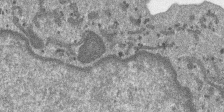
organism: Human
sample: Lung epithelial cells infected with SARS-CoV-2